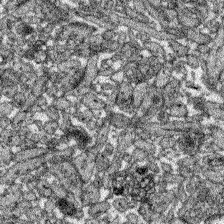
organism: Zebrafish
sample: Larval olfactory bulb